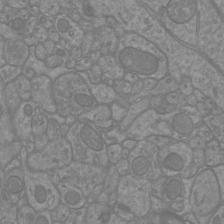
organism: Mouse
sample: Cortical neurons